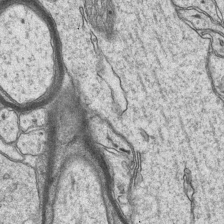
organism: Mouse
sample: CA1 Hippocampus